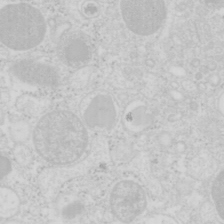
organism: Mouse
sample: Pancreas